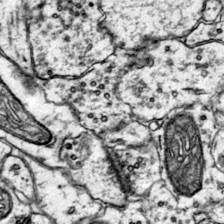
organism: Mouse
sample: Primary visual cortex